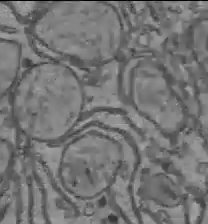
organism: C57BL Mouse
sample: Liver